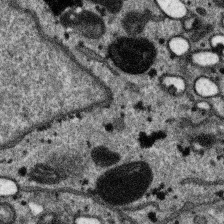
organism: Human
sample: Lung epithelial cells infected with SARS-CoV-2